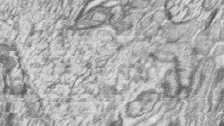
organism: Zebrafish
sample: synaptic ribbons in rod cells and cone cells